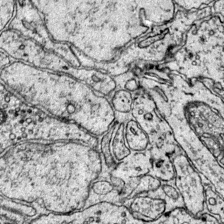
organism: Mouse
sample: Primary visual cortex